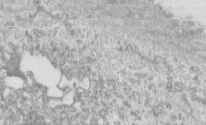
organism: Human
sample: Centriole in RPE cells